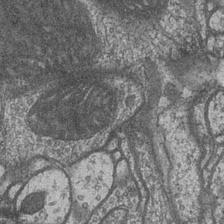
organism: Drosophila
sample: Optic medulla